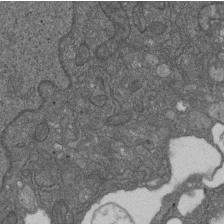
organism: Drosophila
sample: Nephrocyte